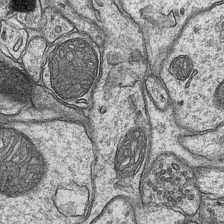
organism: Mouse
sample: CA1 Hippocampus